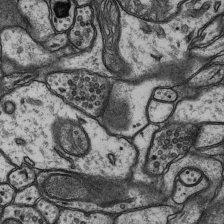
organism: Rat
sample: Hippocampus